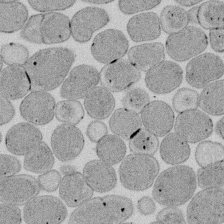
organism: E. coli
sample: Bacterial nucleoid